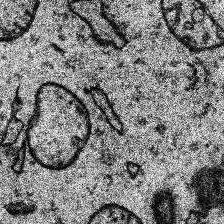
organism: Human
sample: Temporal Lobe